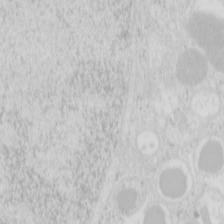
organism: Mouse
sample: Pancreas